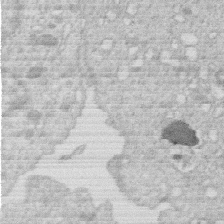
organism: Human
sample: Macrophage cells